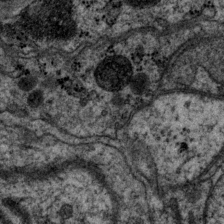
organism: P. pacificus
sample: Pharynx